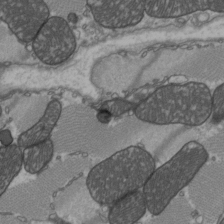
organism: C57BL Mouse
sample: Heart